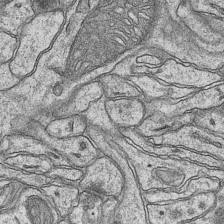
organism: Mouse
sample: CA1 Hippocampus